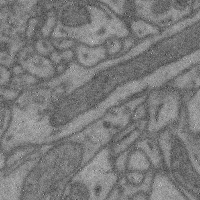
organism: Mouse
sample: Cerebral cortex